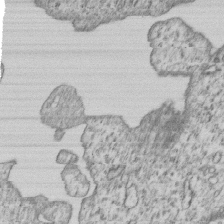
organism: Human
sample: MDA-MB-231 cells